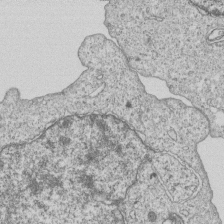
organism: Human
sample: MDA-MB-231 cells